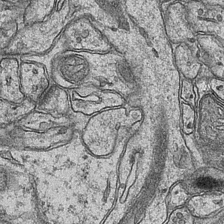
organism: Mouse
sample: CA1 Hippocampus